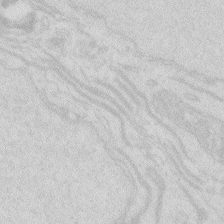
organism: Zebrafish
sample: Macrophage